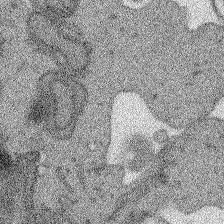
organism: Human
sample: HeLa cells